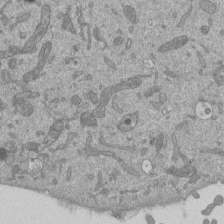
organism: Mouse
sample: ED-1 cell nuclei; centrioles